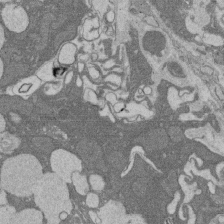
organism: Rat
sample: Salivary granule